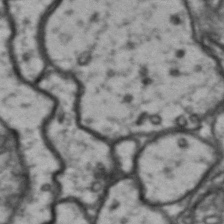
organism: Drosophila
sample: Brain